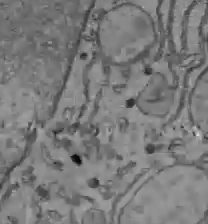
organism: C57BL Mouse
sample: Liver